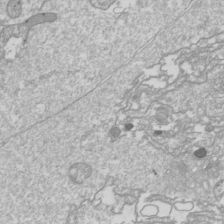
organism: Drosophila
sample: Cell division; meiosis; drosophila spermatocytes